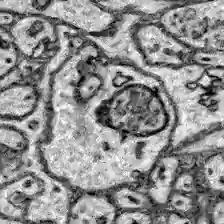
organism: Zebrafish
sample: Brain